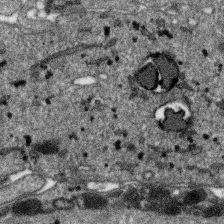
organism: Human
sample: Lung epithelial cells infected with SARS-CoV-2